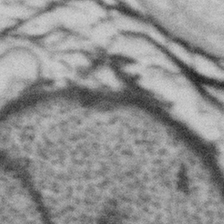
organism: Gemmata obscuriglobus